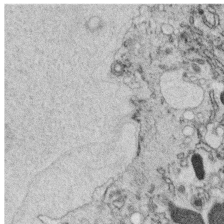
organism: C. elegans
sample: C. elegans oocyte; sperm cells